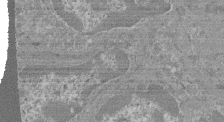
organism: Mouse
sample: Glomerulus